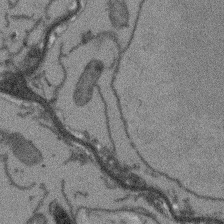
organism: Arabidopsis thaliana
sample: Root tip